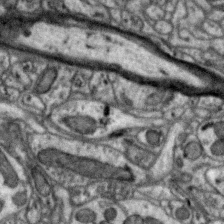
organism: Zebra finch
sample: Brain